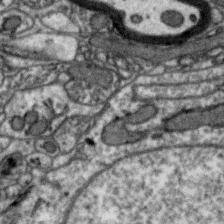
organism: Zebra finch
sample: Brain